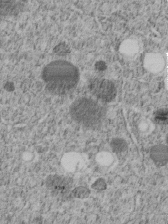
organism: C. elegans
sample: C. elegans embryo early stage